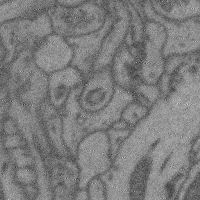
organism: Mouse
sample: Cerebral cortex